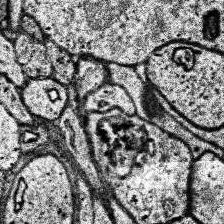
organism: Human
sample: Temporal Lobe